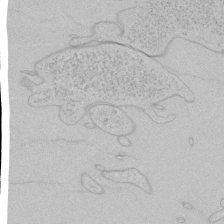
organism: Human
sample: Mitochondria in HCT116 cells